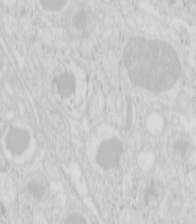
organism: Mouse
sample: Pancreas